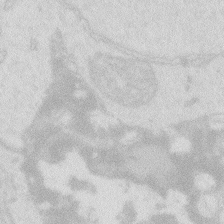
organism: Zebrafish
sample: Macrophage